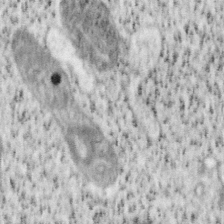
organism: Mouse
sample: OT-I killer T cells with ID8 ovarian cancer cells